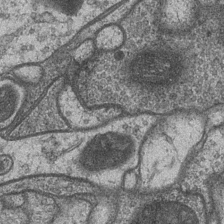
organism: Drosophila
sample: Optic medulla